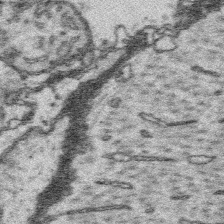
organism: Platynereis dumerilii